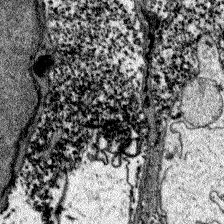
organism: Zebrafish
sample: Larval olfactory bulb